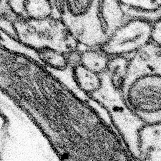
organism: Mouse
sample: Somatosensory cortex neuropil